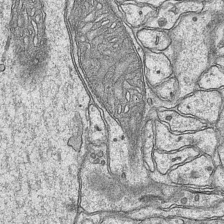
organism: Mouse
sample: CA1 Hippocampus